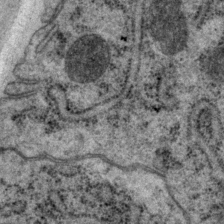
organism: P. pacificus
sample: Pharynx